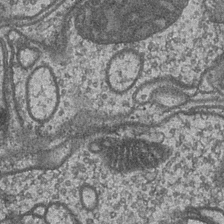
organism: Drosophila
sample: Optic medulla